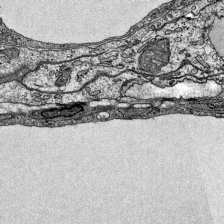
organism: Mouse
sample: Visual Cortex